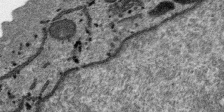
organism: Human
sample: Lung epithelial cells, uninfected (mock) control